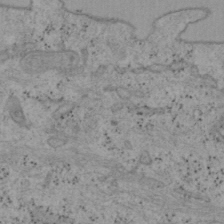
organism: Human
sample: HeLa cells